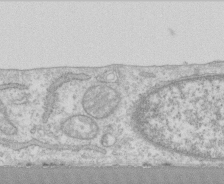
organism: Human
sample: CRL-1474